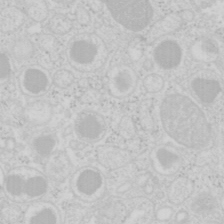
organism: Mouse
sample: Pancreas